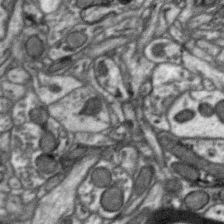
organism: Zebra finch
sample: Brain